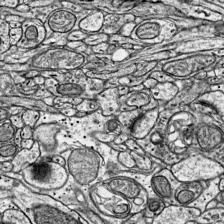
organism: Mouse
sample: Visual Cortex